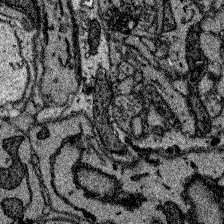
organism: Zebrafish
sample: Larval olfactory bulb